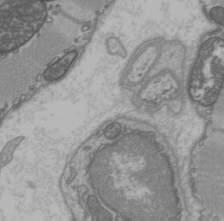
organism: C57BL Mouse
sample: Heart